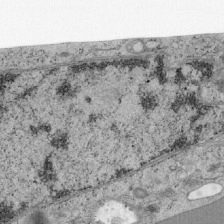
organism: Human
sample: HeLa cells